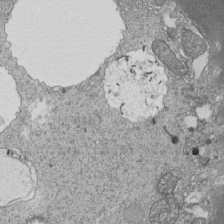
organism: Tetrahymena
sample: Cilia in tetrahymena